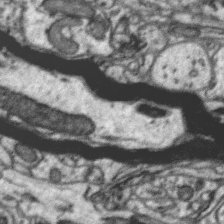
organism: Zebra finch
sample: Brain